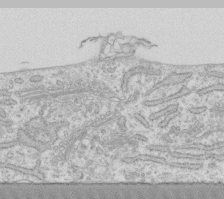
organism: Human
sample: Fibroblast cells